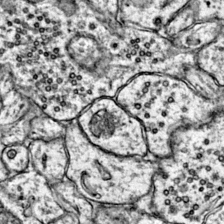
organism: Mouse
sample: Primary visual cortex